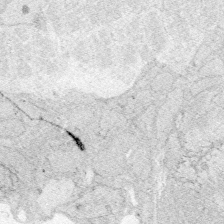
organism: Zebrafish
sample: Whole-Brain